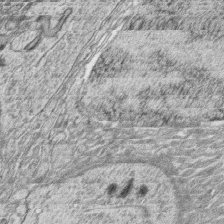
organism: Zebrafish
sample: synaptic ribbons in rod cells and cone cells